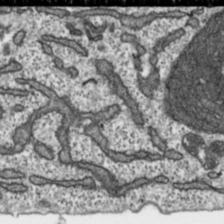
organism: Toxoplasma gondii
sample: Parasites in a vacuole inside a host cell